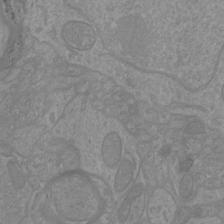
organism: Mouse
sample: Cortical neurons